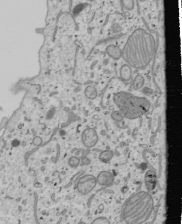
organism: Human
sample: Mitochondria in U2OS cells